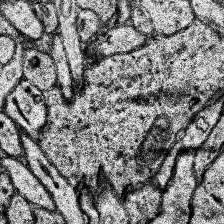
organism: Human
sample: Temporal Lobe